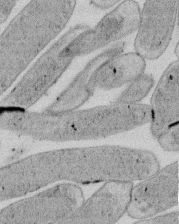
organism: E. coli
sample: Bacterial nucleoid